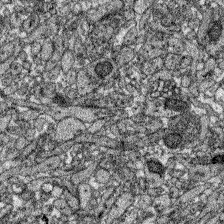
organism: Zebrafish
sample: Larval olfactory bulb